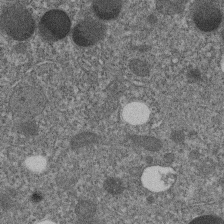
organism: C. elegans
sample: C. elegans embryo early stage